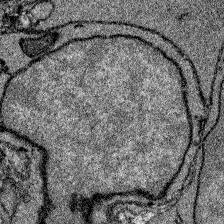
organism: Zebrafish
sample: Larval olfactory bulb